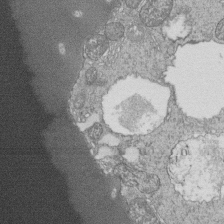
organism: Tetrahymena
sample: Cilia in tetrahymena